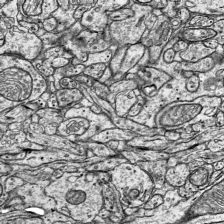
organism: Mouse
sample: Visual Cortex